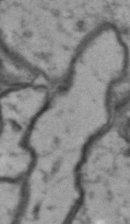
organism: Drosophila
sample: Brain